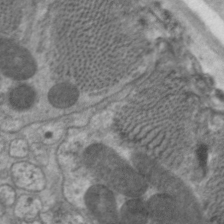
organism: C. elegans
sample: Pharynx